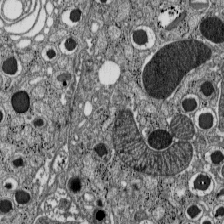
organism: C57BL Mouse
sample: Pancreatic islet